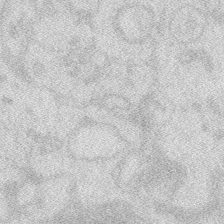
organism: Zebrafish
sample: Macrophage